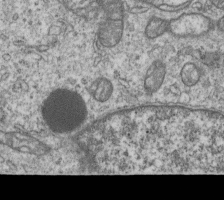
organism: Human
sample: MDA-MB-231 cells